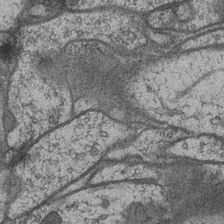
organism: Drosophila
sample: Optic medulla